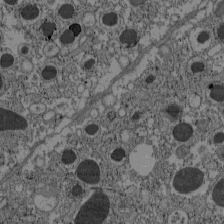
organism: C57BL Mouse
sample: Pancreatic islet